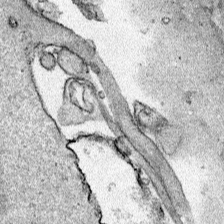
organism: Human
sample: Mitochondria in HCT116 cells